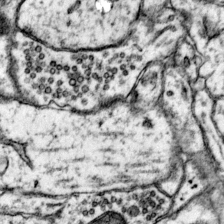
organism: Mouse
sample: Primary visual cortex